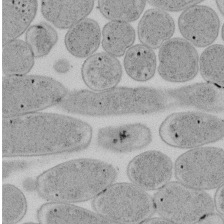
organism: E. coli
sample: Bacterial nucleoid